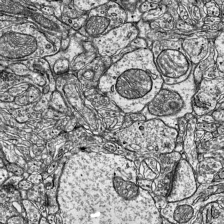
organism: Mouse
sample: Visual Cortex